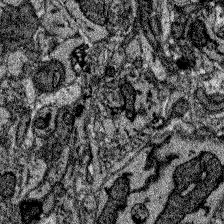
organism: Zebrafish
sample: Larval olfactory bulb